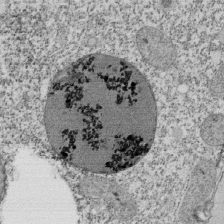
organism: Tetrahymena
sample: Cilia in tetrahymena